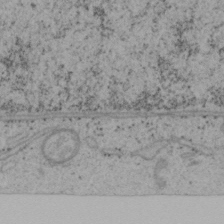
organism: Human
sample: HeLa cells